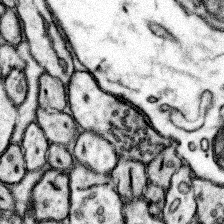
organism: Mouse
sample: Somatosensory cortex neuropil